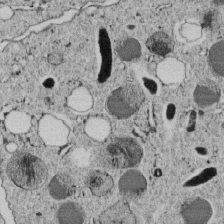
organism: C. elegans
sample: C. elegans embryo early stage